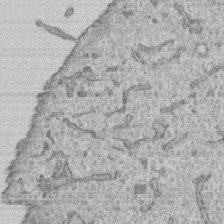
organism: Human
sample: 1205lu cells